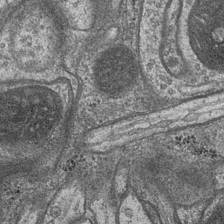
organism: Drosophila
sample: Optic medulla